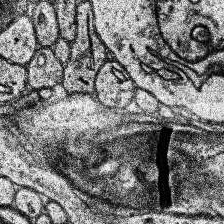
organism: Human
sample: Temporal Lobe